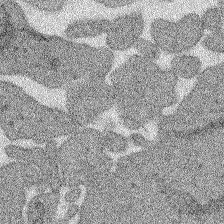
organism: Human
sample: HeLa cells